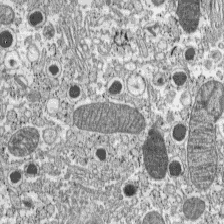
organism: C57BL Mouse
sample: Pancreatic islet